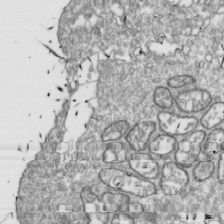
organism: Drosophila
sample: Cell division; meiosis; drosophila spermatocytes